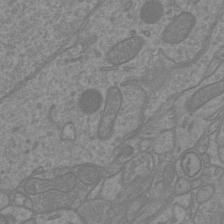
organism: Mouse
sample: Cortical neurons